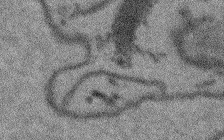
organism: Arabidopsis thaliana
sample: Root tip